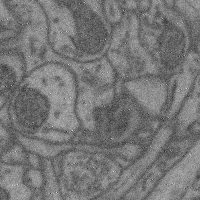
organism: Mouse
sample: Cerebral cortex